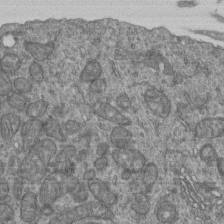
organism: Human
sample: Retinal organoid Rod and Cone cells